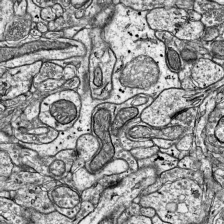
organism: Mouse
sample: Visual Cortex